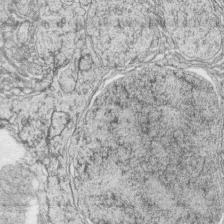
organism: Zebrafish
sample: synaptic ribbons in rod cells and cone cells